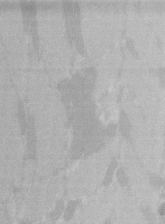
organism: C57BL Mouse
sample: Tibialis anterior muscle cell